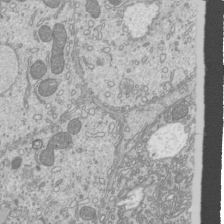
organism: Mouse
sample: Cilia; mouse epididymis